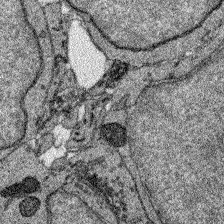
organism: Zebrafish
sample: Larval olfactory bulb